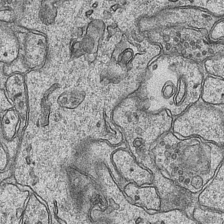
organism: Mouse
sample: CA1 Hippocampus